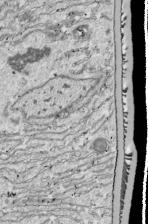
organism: Drosophila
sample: Cell division; meiosis; drosophila spermatocytes